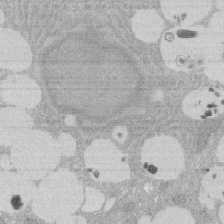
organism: Rat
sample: Salivary granule